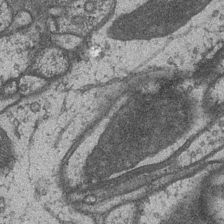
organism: Drosophila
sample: Optic medulla